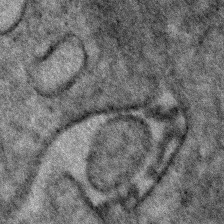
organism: Human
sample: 1205lu cells